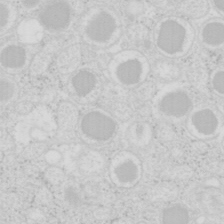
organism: Mouse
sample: Pancreas